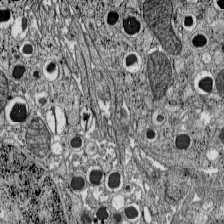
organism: C57BL Mouse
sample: Pancreatic islet